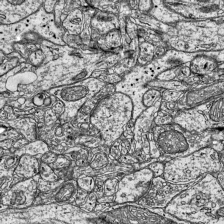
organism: Mouse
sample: Visual Cortex